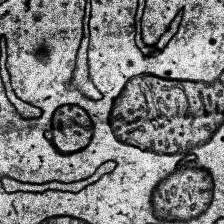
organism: Human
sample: Temporal Lobe